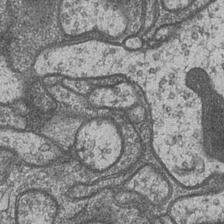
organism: Drosophila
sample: Optic medulla